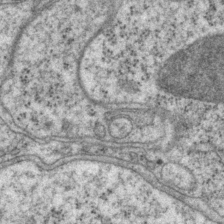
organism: P. pacificus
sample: Pharynx